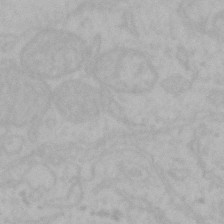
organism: Mouse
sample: Choroid plexus